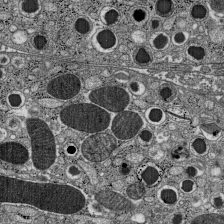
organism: C57BL Mouse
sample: Pancreatic islet